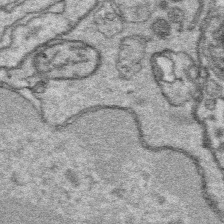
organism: Platynereis dumerilii